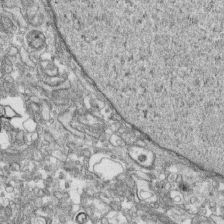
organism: Human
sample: CRL-1474